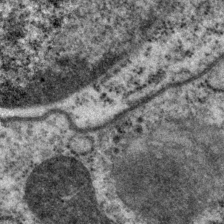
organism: P. pacificus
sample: Pharynx